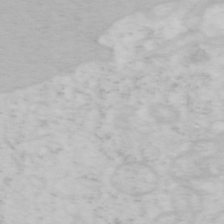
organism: Mouse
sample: OT-I killer T cells with ID8 ovarian cancer cells